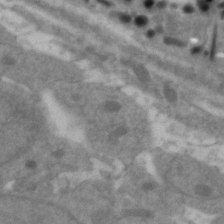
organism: Zebrafish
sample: Zebrafish embryo